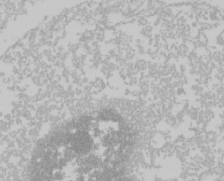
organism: Mouse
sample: Cancer cell death in ED-1 cells